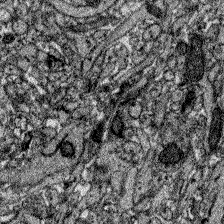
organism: Zebrafish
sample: Larval olfactory bulb